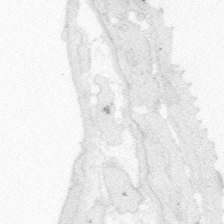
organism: Zebrafish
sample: Whole-Brain